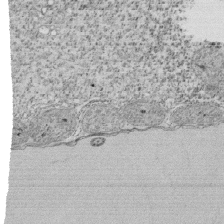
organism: Tetrahymena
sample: Cilia in tetrahymena